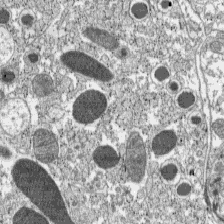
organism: C57BL Mouse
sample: Pancreatic islet